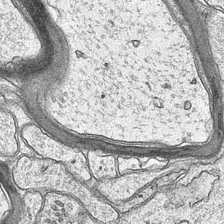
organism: Mouse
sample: CA1 Hippocampus